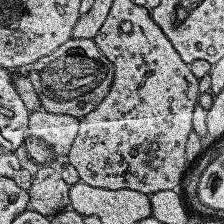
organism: Human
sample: Temporal Lobe